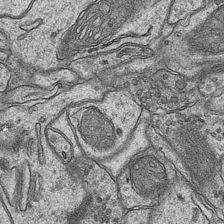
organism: Mouse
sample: CA1 Hippocampus